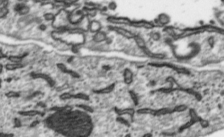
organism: Toxoplasma gondii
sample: Parasites in a vacuole inside a host cell